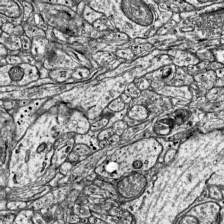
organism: Mouse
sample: Visual Cortex